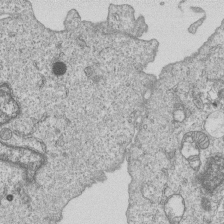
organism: Human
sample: MDA-MB-231 cells